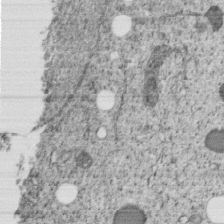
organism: C. elegans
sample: C. elegans embryo early stage